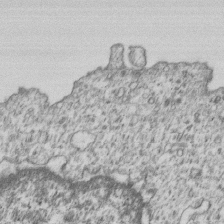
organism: Human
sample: MDA-MB-231 cells